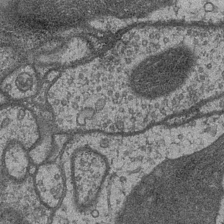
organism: Drosophila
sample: Optic medulla